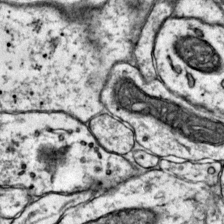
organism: Mouse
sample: Primary visual cortex